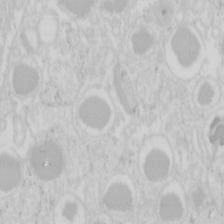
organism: Mouse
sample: Pancreas